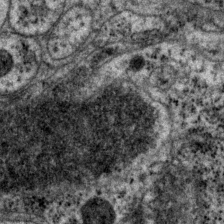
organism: P. pacificus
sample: Pharynx